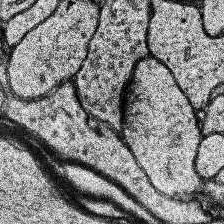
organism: Human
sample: Temporal Lobe